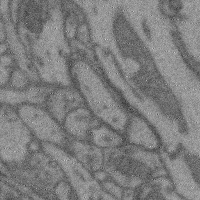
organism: Mouse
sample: Cerebral cortex